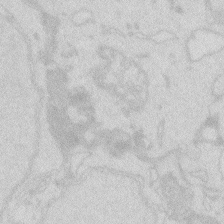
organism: Zebrafish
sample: Macrophage